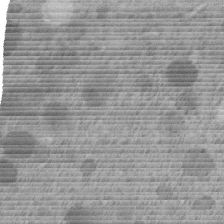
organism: C. elegans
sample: C. elegans embryo early stage